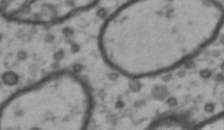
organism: Drosophila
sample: Brain